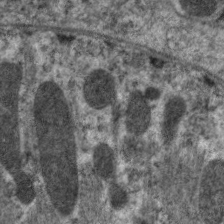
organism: C. elegans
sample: Pharynx